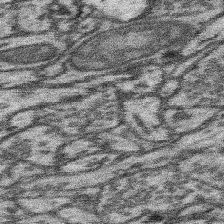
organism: Mouse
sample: Somatosensory cortex neuropil